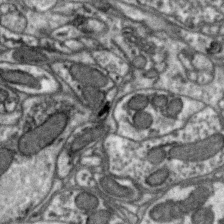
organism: Zebra finch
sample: Brain